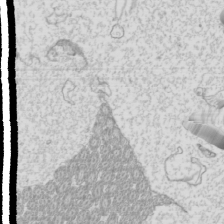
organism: Mouse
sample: Cilia; mouse epididymis